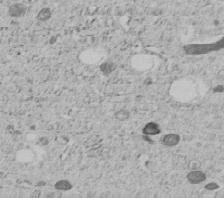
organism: C. elegans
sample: C. elegans embryo early stage